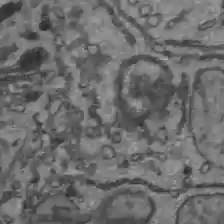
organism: C57BL Mouse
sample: Liver